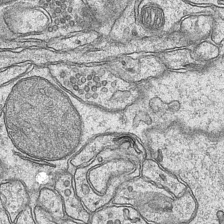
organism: Mouse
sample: CA1 Hippocampus